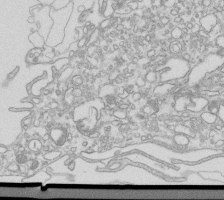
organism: Mouse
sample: Macrophages